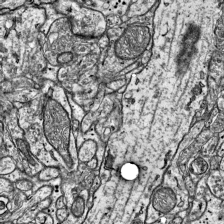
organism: Mouse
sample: Visual Cortex